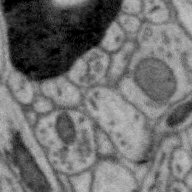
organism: Zebra finch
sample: Brain